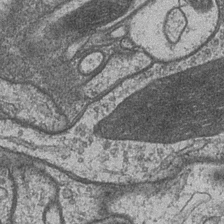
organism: Drosophila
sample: Optic medulla